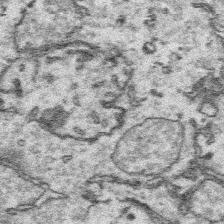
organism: Platynereis dumerilii